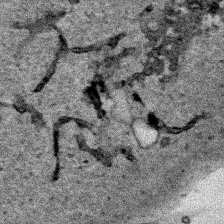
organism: Human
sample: Mitochondria in HCT116 cells